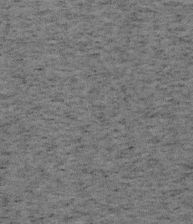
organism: Mouse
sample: OT-I killer T cells with ID8 ovarian cancer cells